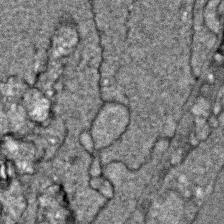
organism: Zebrafish